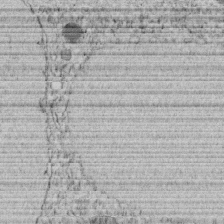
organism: C. elegans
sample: C. elegans embryo early stage